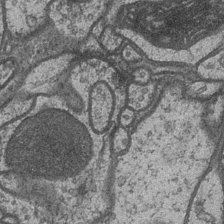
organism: Drosophila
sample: Optic medulla